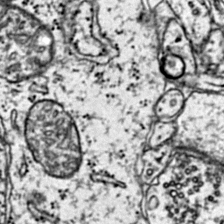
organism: Mouse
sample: Primary visual cortex